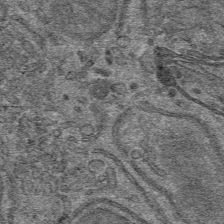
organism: Mouse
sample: Mouse hepatocytes